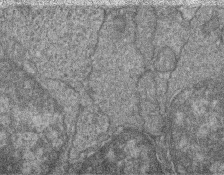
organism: Zebrafish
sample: Cilia; retinal pigment epithelium